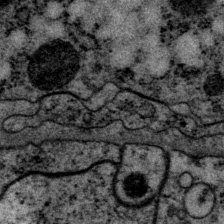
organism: P. pacificus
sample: Pharynx